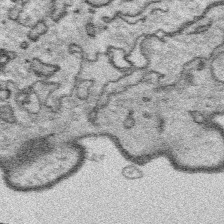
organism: Platynereis dumerilii